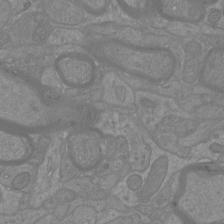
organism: Mouse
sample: Cortical neurons